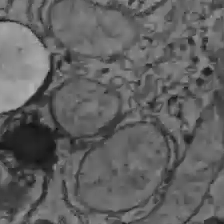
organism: C57BL Mouse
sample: Liver